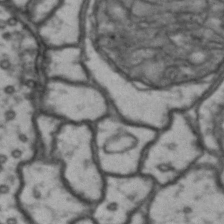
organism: Drosophila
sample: Brain